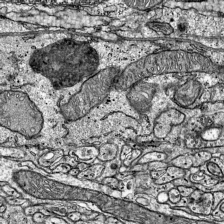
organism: Mouse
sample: Visual Cortex